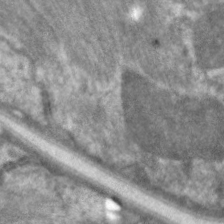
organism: C. elegans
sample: Pharynx